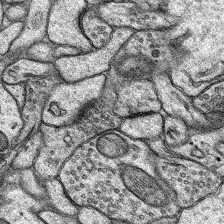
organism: Rat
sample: Hippocampus